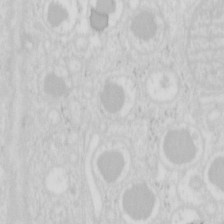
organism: Mouse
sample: Pancreas